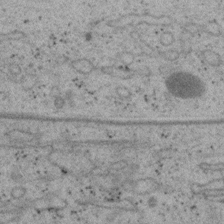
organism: Human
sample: HeLa cells